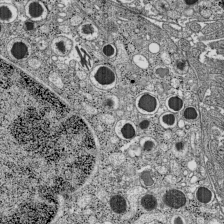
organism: C57BL Mouse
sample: Pancreatic islet